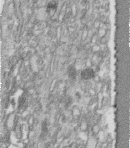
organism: Human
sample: Centriole in fibroblast cells